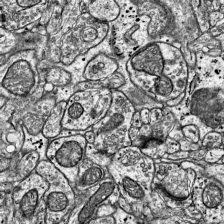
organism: Mouse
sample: Visual Cortex